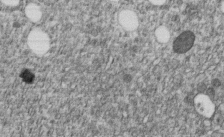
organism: C. elegans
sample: C. elegans embryo early stage